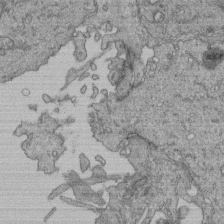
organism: Human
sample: Retinal organoid Rod and Cone cells